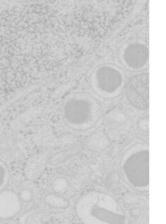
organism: Mouse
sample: Pancreas